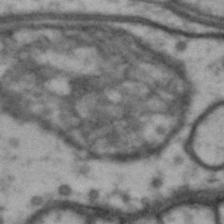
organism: Drosophila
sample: Brain